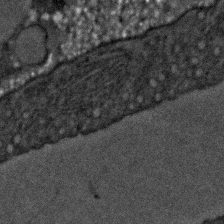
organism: C. elegans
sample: C. elegans embryo